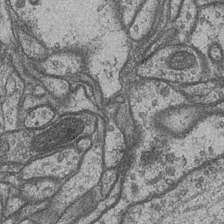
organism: Drosophila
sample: Optic medulla